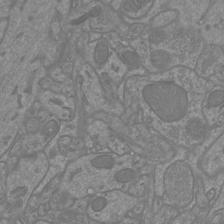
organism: Mouse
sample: Cortical neurons